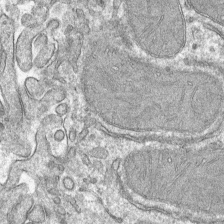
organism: Mouse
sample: Mouse hepatocytes